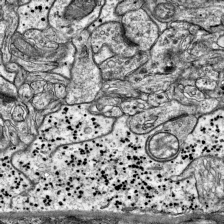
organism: Mouse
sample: Visual Cortex